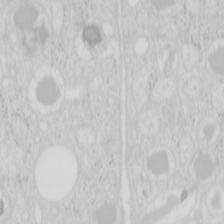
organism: Mouse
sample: Pancreas